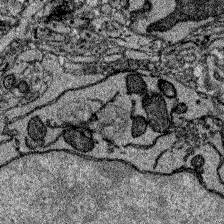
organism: Zebrafish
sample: Larval olfactory bulb